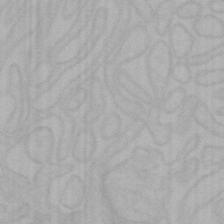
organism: Mouse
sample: Choroid plexus